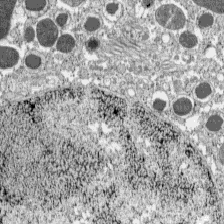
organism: C57BL Mouse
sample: Pancreatic islet